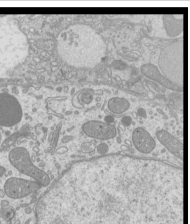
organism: Mouse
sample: Cilia; mouse epididymis